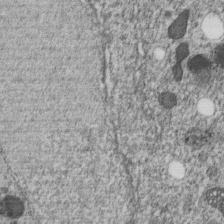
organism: C. elegans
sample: C. elegans embryo early stage